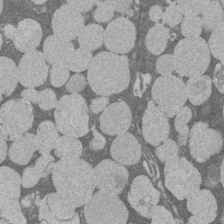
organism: Rat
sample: Salivary granule